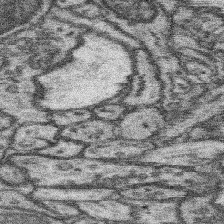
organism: Mouse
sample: Somatosensory cortex neuropil